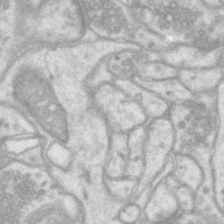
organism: Mouse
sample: CA1 Hippocampus